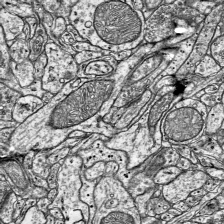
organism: Mouse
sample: Visual Cortex